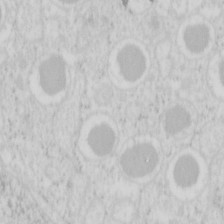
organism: Mouse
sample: Pancreas